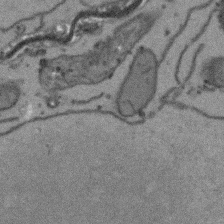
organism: Arabidopsis thaliana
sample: Root tip